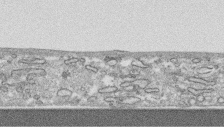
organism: Human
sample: CRL-1474